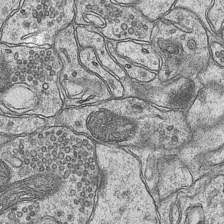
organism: Mouse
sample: CA1 Hippocampus